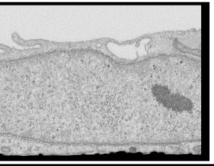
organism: Human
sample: Centriole in RPE cells